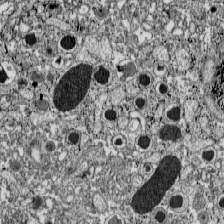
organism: C57BL Mouse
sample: Pancreatic islet